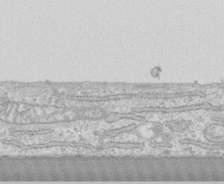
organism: Human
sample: CRL-1474